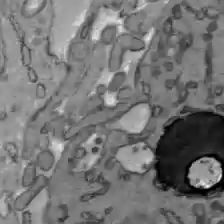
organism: C57BL Mouse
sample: Liver